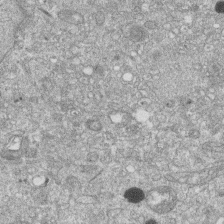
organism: Human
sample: HeLa cell HIV synapse